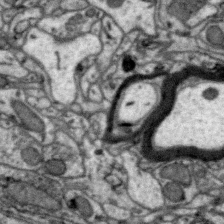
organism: Zebra finch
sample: Brain